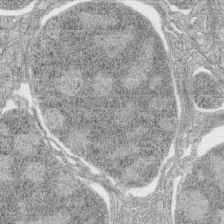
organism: Zebrafish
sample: synaptic ribbons in rod cells and cone cells